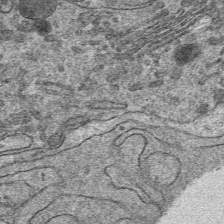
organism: Mouse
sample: Mouse hepatocytes